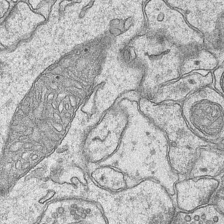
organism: Mouse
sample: CA1 Hippocampus